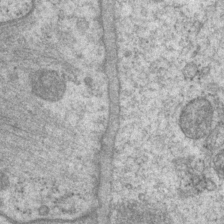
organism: P. pacificus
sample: Pharynx